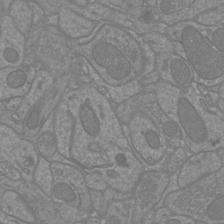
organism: Mouse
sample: Cortical neurons